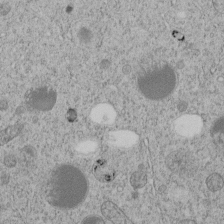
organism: C. elegans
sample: C. elegans embryo early stage